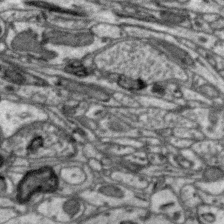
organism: Zebra finch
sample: Brain